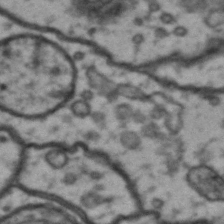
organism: Drosophila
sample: Brain